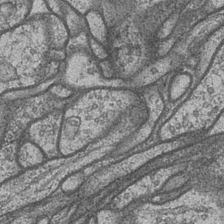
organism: Drosophila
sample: Optic medulla